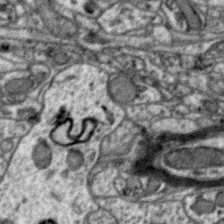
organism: Zebra finch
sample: Brain